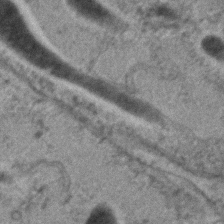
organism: C. elegans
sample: C. elegans embryo